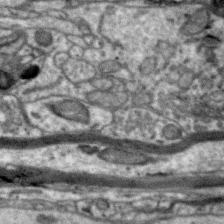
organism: Zebra finch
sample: Brain